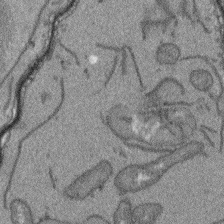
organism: Arabidopsis thaliana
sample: Root tip